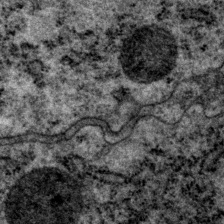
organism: P. pacificus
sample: Pharynx